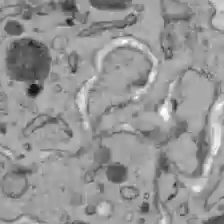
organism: C57BL Mouse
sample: Liver